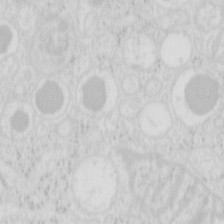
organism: Mouse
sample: Pancreas